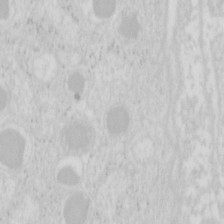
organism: Mouse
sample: Pancreas